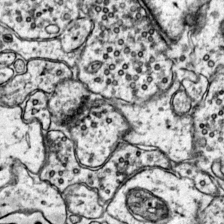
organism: Mouse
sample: Primary visual cortex